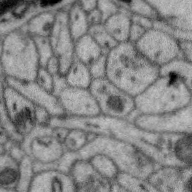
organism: Zebra finch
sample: Brain